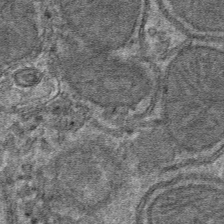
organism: Mouse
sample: Mouse hepatocytes